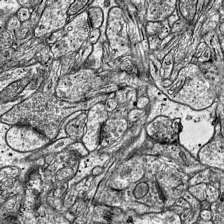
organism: Mouse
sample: Visual Cortex